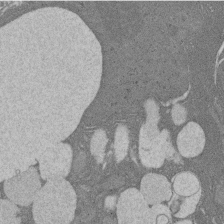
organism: Rat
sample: Salivary granule